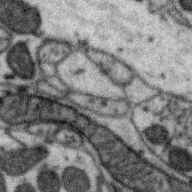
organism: Zebra finch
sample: Brain